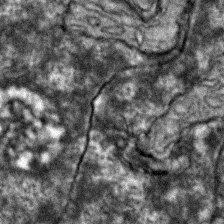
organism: Zebrafish